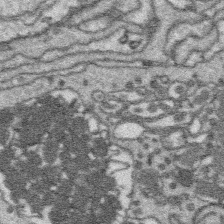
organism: Platynereis dumerilii